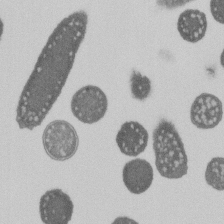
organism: E. coli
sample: Bacterial nucleoid